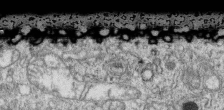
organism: Human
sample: HeLa cell HIV synapse